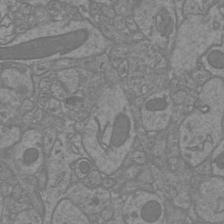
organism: Mouse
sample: Cortical neurons